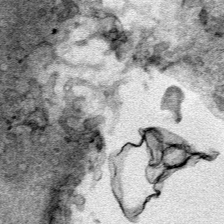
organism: Human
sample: Mitochondria in HCT116 cells